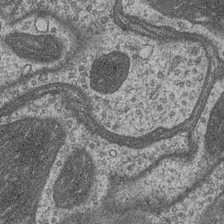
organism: Drosophila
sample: Optic medulla